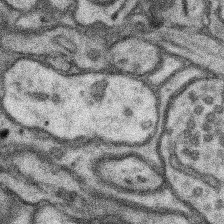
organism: Mouse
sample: Somatosensory cortex neuropil